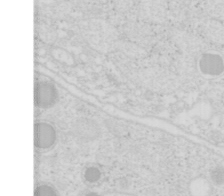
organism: Mouse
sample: Pancreas